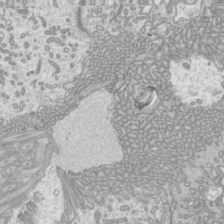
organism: Mouse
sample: Cilia; mouse epididymis